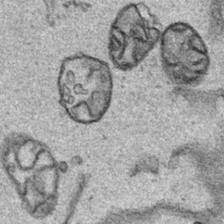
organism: Human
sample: Mitochondria in HCT116 cells